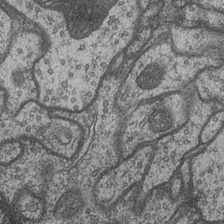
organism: Drosophila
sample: Optic medulla